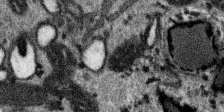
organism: Human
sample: Lung epithelial cells infected with SARS-CoV-2